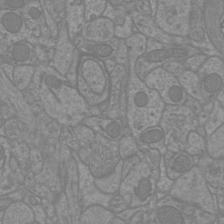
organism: Mouse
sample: Cortical neurons